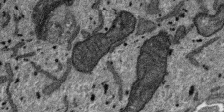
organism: Human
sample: Lung epithelial cells, uninfected (mock) control